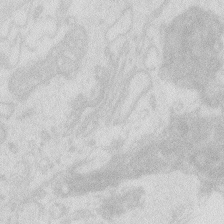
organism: Zebrafish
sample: Macrophage